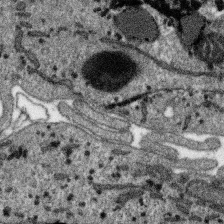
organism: Human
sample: Lung epithelial cells infected with SARS-CoV-2